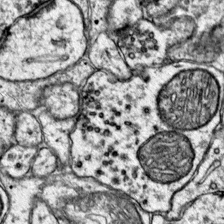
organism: Mouse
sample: Primary visual cortex